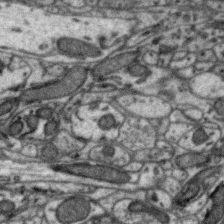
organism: Zebra finch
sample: Brain